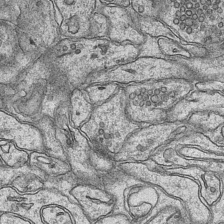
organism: Mouse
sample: CA1 Hippocampus